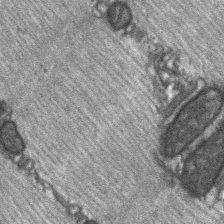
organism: C57BL Mouse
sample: Soleus